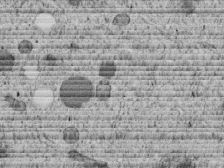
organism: C. elegans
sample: C. elegans embryo early stage